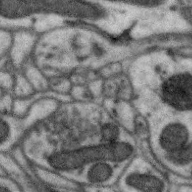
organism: Zebra finch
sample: Brain